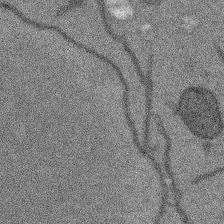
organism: Arabidopsis thaliana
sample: Root tip